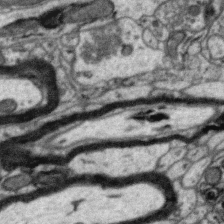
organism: Zebra finch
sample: Brain